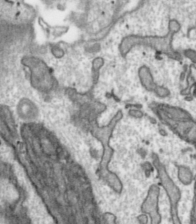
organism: Toxoplasma gondii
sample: Parasites in a vacuole inside a host cell